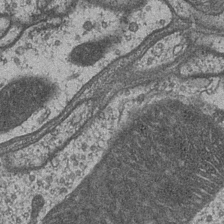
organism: Drosophila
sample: Optic medulla